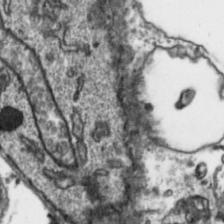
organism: Toxoplasma gondii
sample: Parasites in a vacuole inside a host cell